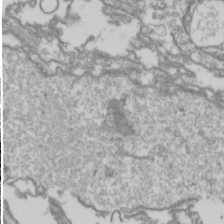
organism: Drosophila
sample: Cell division; meiosis; drosophila spermatocytes